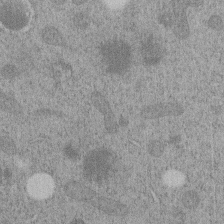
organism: C. elegans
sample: C. elegans embryo early stage